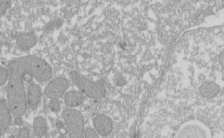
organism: Xenopus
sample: Cilia; centrioles in frog embryo cells